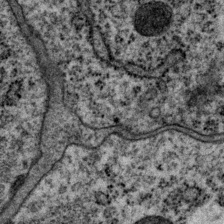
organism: P. pacificus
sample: Pharynx